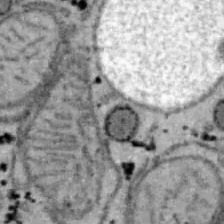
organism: Mouse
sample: Liver from an obese (ob/ob) mouse